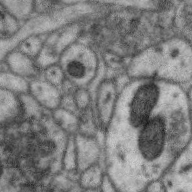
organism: Zebra finch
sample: Brain